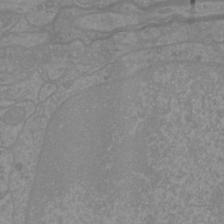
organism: Mouse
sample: Cortical neurons